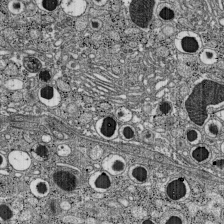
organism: C57BL Mouse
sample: Pancreatic islet